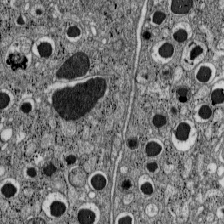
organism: C57BL Mouse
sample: Pancreatic islet